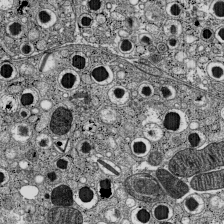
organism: C57BL Mouse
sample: Pancreatic islet